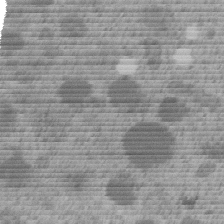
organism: C. elegans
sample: C. elegans embryo early stage